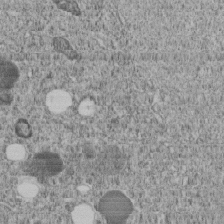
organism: C. elegans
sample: C. elegans embryo early stage